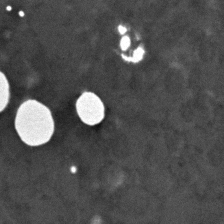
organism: C. elegans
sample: C. elegans embryo